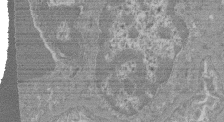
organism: Mouse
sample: Glomerulus